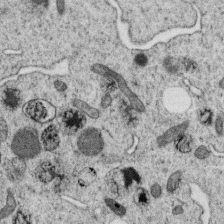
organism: C. elegans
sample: C. elegans oocyte; sperm cells